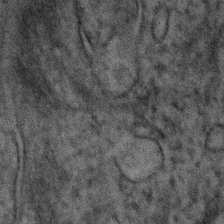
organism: Human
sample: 1205lu cells